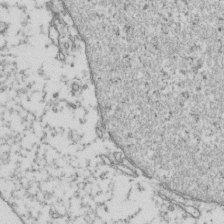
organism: Human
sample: Activated Jurkat CD4+ T cells